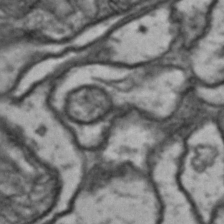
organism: Drosophila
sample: Brain